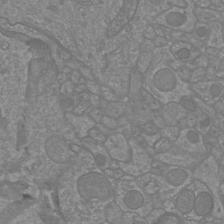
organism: Mouse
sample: Cortical neurons